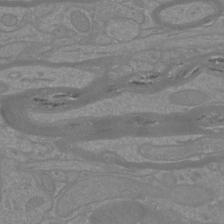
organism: Mouse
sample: Cortical neurons